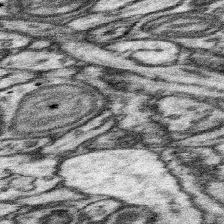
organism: Mouse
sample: Somatosensory cortex neuropil